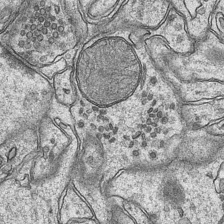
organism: Mouse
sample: CA1 Hippocampus